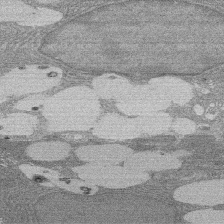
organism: Rat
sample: Salivary granule